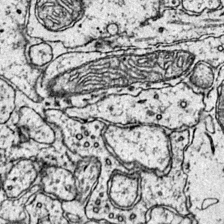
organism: Mouse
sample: Primary visual cortex